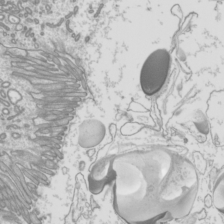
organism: Mouse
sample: Cilia; mouse epididymis